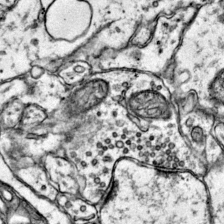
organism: Mouse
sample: Primary visual cortex